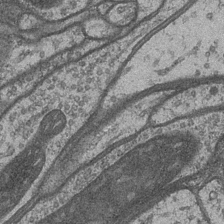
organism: Drosophila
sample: Optic medulla